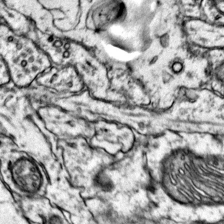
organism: Mouse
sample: Primary visual cortex